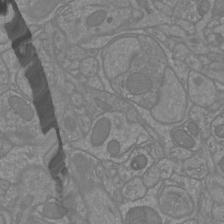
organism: Mouse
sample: Cortical neurons